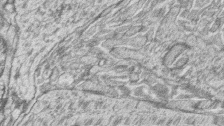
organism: Zebrafish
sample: synaptic ribbons in rod cells and cone cells